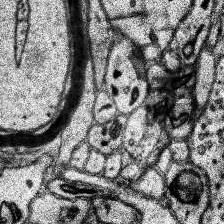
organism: Human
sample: Temporal Lobe